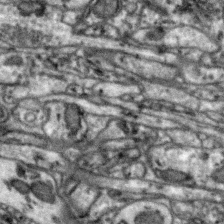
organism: Zebra finch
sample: Brain